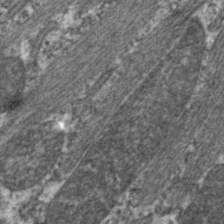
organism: C. elegans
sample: Pharynx